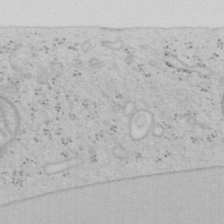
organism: Human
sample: HeLa cells